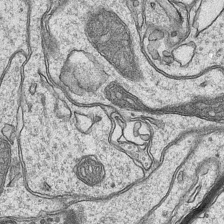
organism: Mouse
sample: CA1 Hippocampus